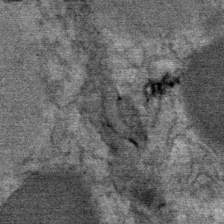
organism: Mouse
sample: Mouse Salivary gland